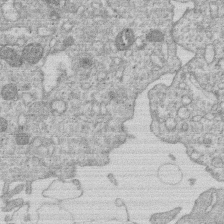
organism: Human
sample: Macrophage cells